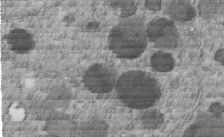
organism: C. elegans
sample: C. elegans embryo early stage